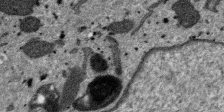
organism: Human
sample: Lung epithelial cells, uninfected (mock) control